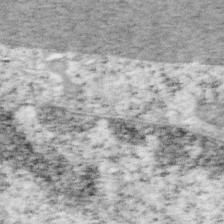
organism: Mouse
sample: OT-I killer T cells with ID8 ovarian cancer cells